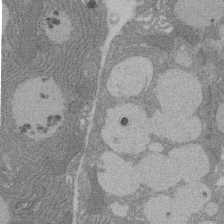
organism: Rat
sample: Salivary granule